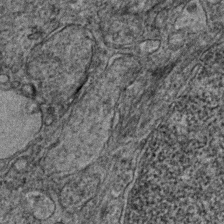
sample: Trachea